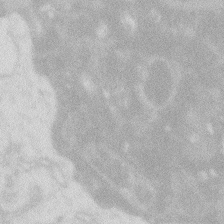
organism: Zebrafish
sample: Macrophage